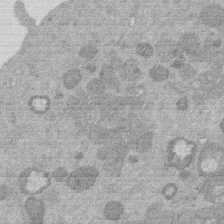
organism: Mouse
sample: Dividing mouse embryo 1 cell stage